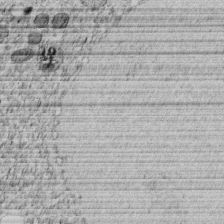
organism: C. elegans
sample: C. elegans embryo early stage